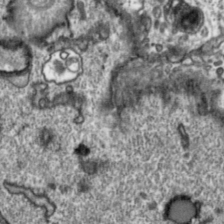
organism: Toxoplasma gondii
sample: Parasites in a vacuole inside a host cell